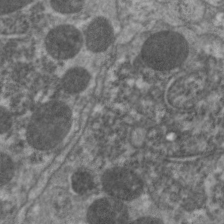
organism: C. elegans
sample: Pharynx